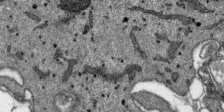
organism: Human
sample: Lung epithelial cells, uninfected (mock) control